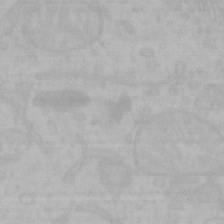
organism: Mouse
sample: Choroid plexus